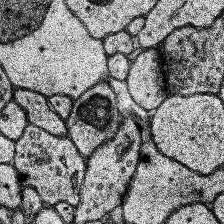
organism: Human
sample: Temporal Lobe